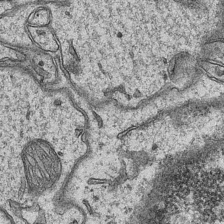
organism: Mouse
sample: CA1 Hippocampus